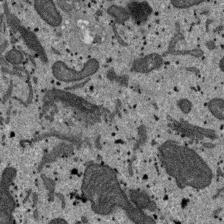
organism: Human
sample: Lung epithelial cells, uninfected (mock) control